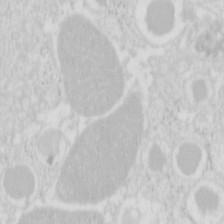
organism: Mouse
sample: Pancreas